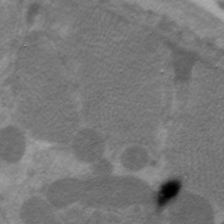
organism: C. elegans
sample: Pharynx